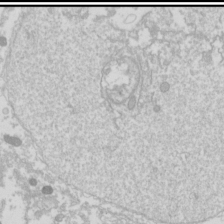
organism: Drosophila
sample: Cell division; meiosis; drosophila spermatocytes